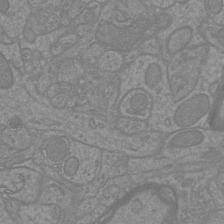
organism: Mouse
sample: Cortical neurons